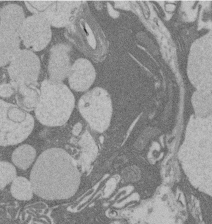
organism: Rat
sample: Salivary granule